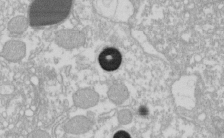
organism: Xenopus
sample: Cilia; centrioles in frog embryo cells